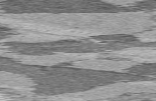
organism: C57BL Mouse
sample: Heart